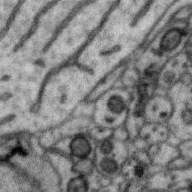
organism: Zebra finch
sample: Brain